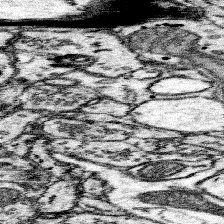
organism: Mouse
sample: Somatosensory cortex neuropil